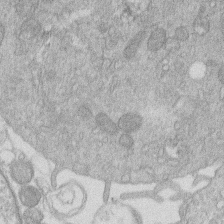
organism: Human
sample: Macrophage cells